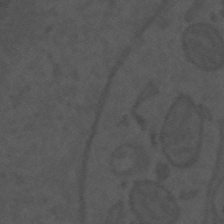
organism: Mouse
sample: Suprachiasmatic nucleus